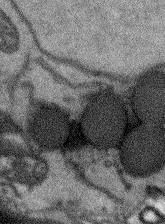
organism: Arabidopsis thaliana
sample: Root tip